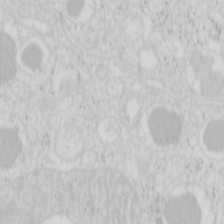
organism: Mouse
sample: Pancreas